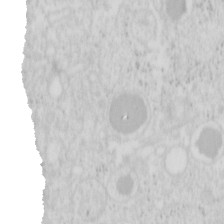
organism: Mouse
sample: Pancreas